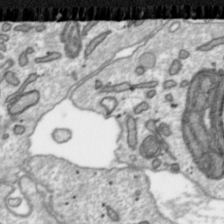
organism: Toxoplasma gondii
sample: Parasites in a vacuole inside a host cell